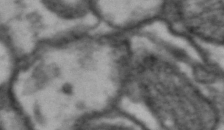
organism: Drosophila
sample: Brain